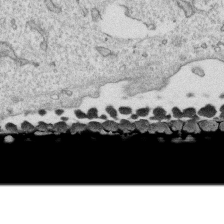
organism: Human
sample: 1205lu cells